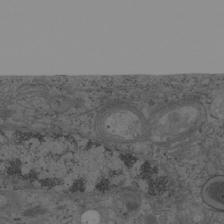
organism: Human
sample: HeLa cells